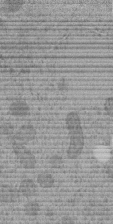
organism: C. elegans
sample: C. elegans embryo early stage